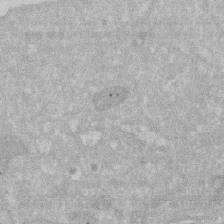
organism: Human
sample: HIV infected U937 cells